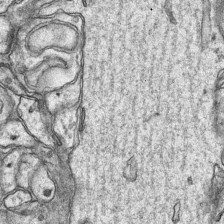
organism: Mouse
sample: CA1 Hippocampus